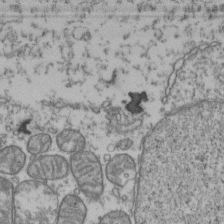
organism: Human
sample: Activated Jurkat CD4+ T cells